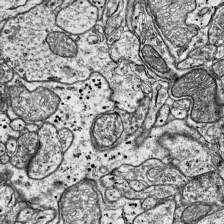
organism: Mouse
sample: Visual Cortex